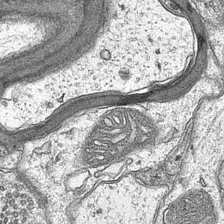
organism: Mouse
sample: CA1 Hippocampus